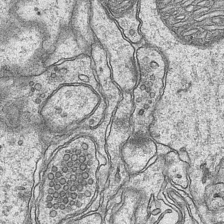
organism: Mouse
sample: CA1 Hippocampus